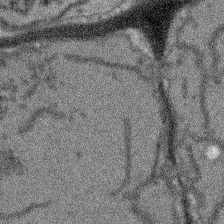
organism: Arabidopsis thaliana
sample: Root tip